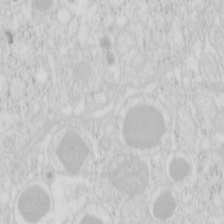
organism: Mouse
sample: Pancreas